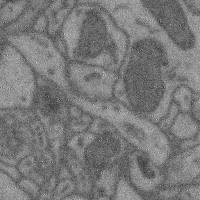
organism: Mouse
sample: Cerebral cortex